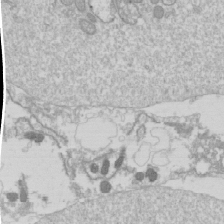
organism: Drosophila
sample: Cell division; meiosis; drosophila spermatocytes